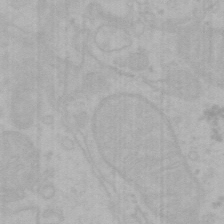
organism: Mouse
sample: Choroid plexus